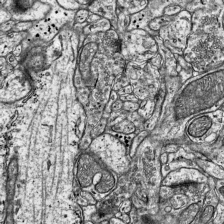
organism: Mouse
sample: Visual Cortex